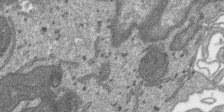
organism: Human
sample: Lung epithelial cells infected with SARS-CoV-2